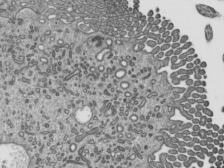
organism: Mouse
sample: Mouse epididymis efferent ductule cilia